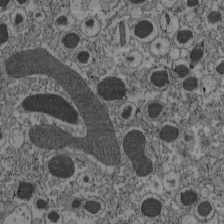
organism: C57BL Mouse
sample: Pancreatic islet